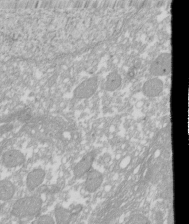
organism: Xenopus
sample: Cilia; centrioles in frog embryo cells